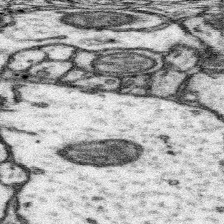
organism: Mouse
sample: Somatosensory cortex neuropil